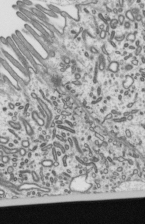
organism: Mouse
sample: Mouse epididymis efferent ductule cilia